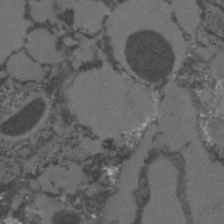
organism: C. elegans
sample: C. elegans embryo